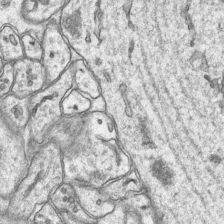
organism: Mouse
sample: CA1 Hippocampus